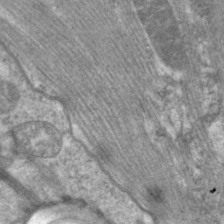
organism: C. elegans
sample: Pharynx